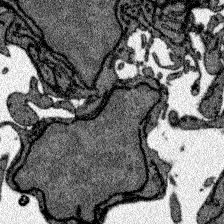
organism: Zebrafish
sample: Larval olfactory bulb